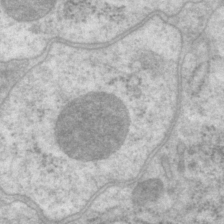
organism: P. pacificus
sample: Pharynx